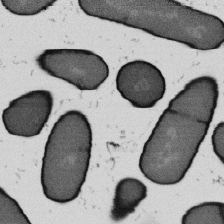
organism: B. subtilis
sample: Bacterial spore